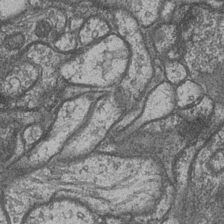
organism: Drosophila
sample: Optic medulla